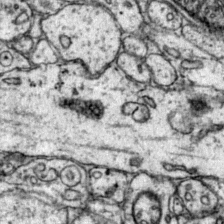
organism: Mouse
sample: Primary visual cortex